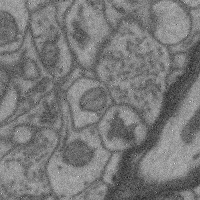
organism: Mouse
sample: Cerebral cortex